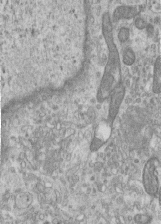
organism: Human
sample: Centriole in RPE cells